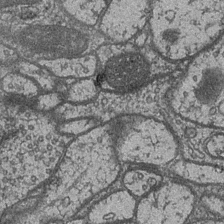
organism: Drosophila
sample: Optic medulla